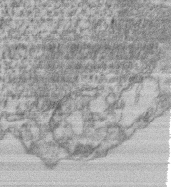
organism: Mouse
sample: T cell stromal cell synapse